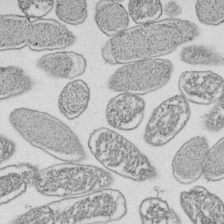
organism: E. coli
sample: Bacterial nucleoid